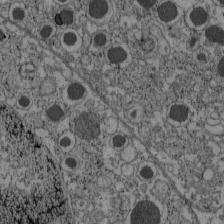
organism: C57BL Mouse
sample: Pancreatic islet